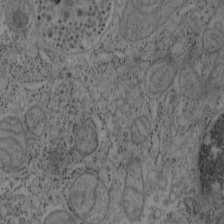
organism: Mouse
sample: OT-I killer T cells with ID8 ovarian cancer cells